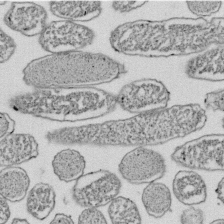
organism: E. coli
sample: Bacterial nucleoid